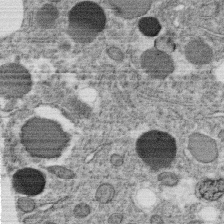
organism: C. elegans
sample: C. elegans oocyte; sperm cells